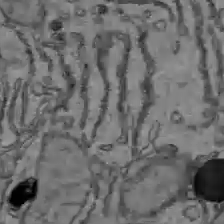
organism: C57BL Mouse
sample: Liver